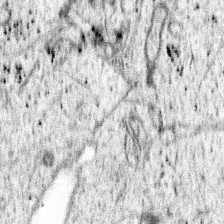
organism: Human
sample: HeLa cells